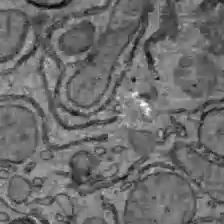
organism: C57BL Mouse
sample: Liver